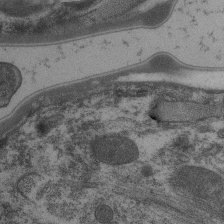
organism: C. elegans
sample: Pharynx